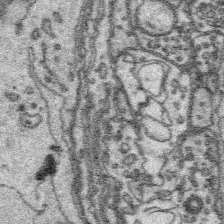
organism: Platynereis dumerilii